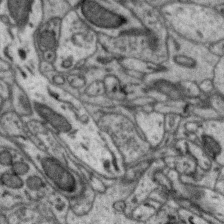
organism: Zebra finch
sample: Brain